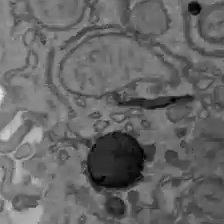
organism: C57BL Mouse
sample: Liver